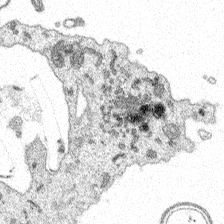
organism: Spongilla lacustris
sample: Multiple